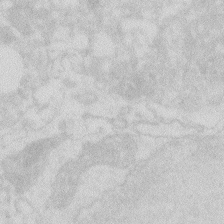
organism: Zebrafish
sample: Macrophage